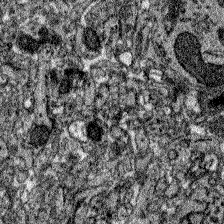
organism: Zebrafish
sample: Larval olfactory bulb